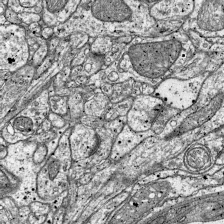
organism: Mouse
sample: Visual Cortex